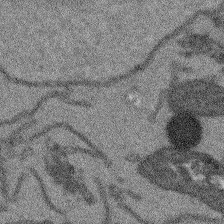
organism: Arabidopsis thaliana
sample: Root tip